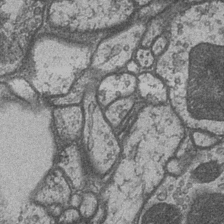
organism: Drosophila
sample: Optic medulla